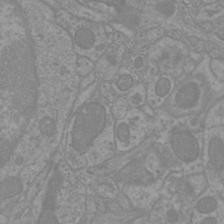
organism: Mouse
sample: Cortical neurons